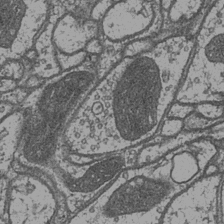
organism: Drosophila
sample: Optic medulla